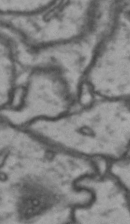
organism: Drosophila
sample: Brain